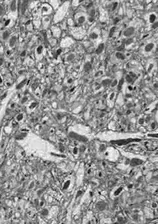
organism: Drosophila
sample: Optic lobe